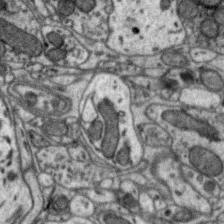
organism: Zebra finch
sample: Brain